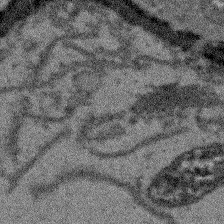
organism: Arabidopsis thaliana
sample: Root tip